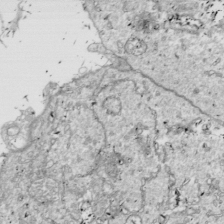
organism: Drosophila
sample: Cell division; meiosis; drosophila spermatocytes